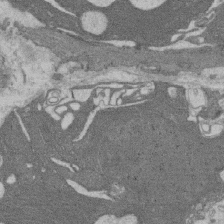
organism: Rat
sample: Salivary granule